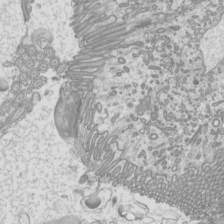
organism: Mouse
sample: Cilia; mouse epididymis